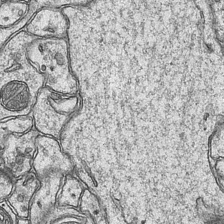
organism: Mouse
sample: CA1 Hippocampus